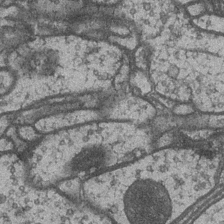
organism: Drosophila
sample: Optic medulla